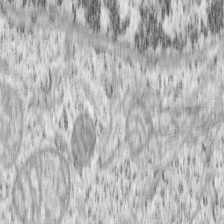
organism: Human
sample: HeLa cells